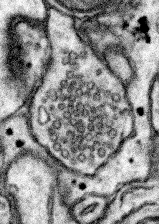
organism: Mouse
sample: Somatosensory cortex neuropil